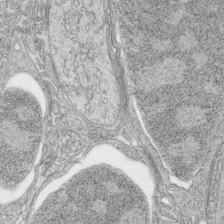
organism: Zebrafish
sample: synaptic ribbons in rod cells and cone cells